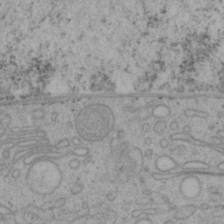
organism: Human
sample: HeLa cells